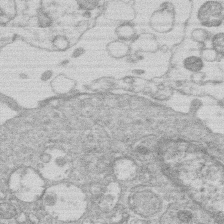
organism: Human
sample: Macrophage cells